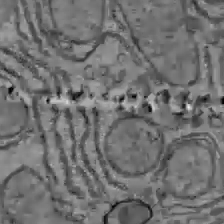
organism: C57BL Mouse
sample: Liver